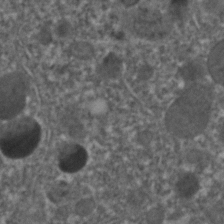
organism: C. elegans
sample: C. elegans embryo